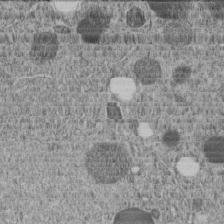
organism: C. elegans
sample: C. elegans embryo early stage